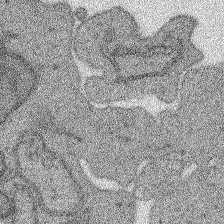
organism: Human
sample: HeLa cells